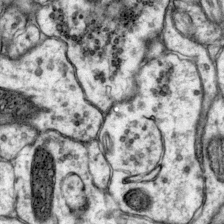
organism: Mouse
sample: Primary visual cortex